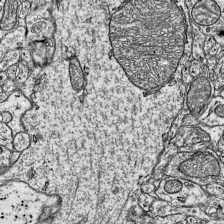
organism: Mouse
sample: Visual Cortex